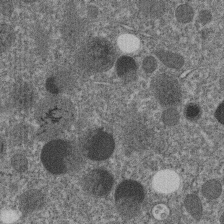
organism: C. elegans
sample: C. elegans embryo early stage